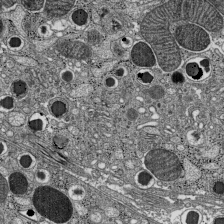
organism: C57BL Mouse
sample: Pancreatic islet